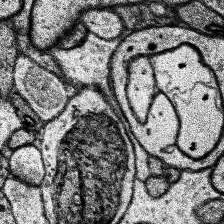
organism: Human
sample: Temporal Lobe